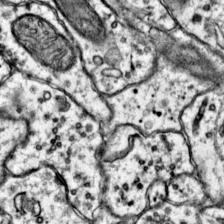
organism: Mouse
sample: Primary visual cortex